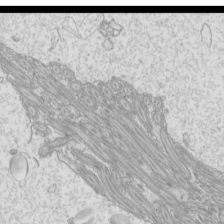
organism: Mouse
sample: Cilia; mouse epididymis